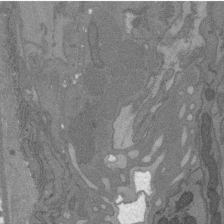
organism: C. elegans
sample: AFD neurons C. elegans